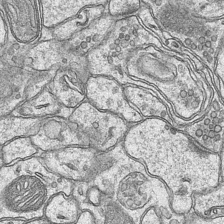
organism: Mouse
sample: CA1 Hippocampus